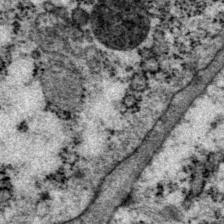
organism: P. pacificus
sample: Pharynx